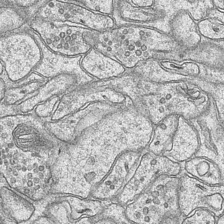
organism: Mouse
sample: CA1 Hippocampus